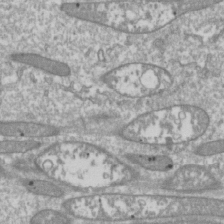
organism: Drosophila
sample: Cell division; meiosis; drosophila spermatocytes